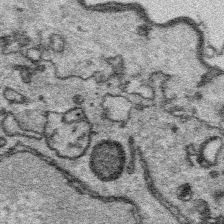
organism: Platynereis dumerilii